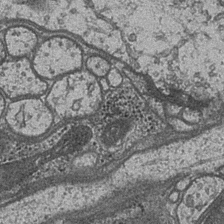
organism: Drosophila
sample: Optic medulla